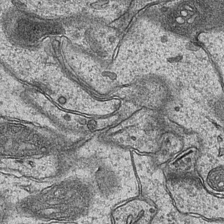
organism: Mouse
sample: CA1 Hippocampus